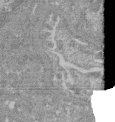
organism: Mouse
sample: Glomerulus